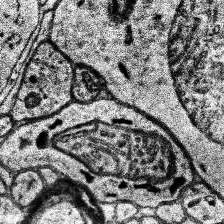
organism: Human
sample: Temporal Lobe